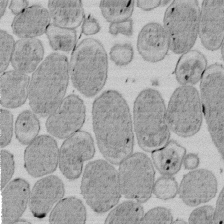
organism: E. coli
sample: Bacterial nucleoid